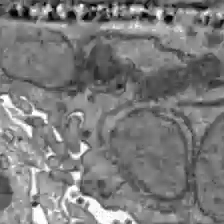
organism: C57BL Mouse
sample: Liver